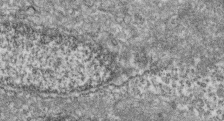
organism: Zebrafish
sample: Cilia; retinal pigment epithelium